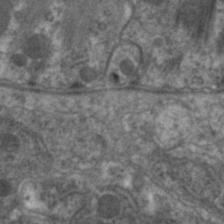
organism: C. elegans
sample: Pharynx